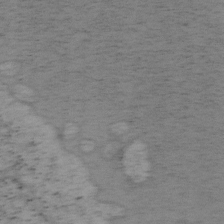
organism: Mouse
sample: OT-I killer T cells with ID8 ovarian cancer cells